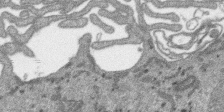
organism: Human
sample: Lung epithelial cells infected with SARS-CoV-2